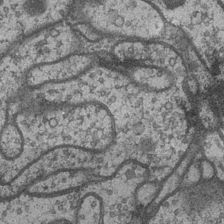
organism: Drosophila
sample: Optic medulla